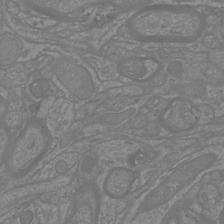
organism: Mouse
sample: Cortical neurons